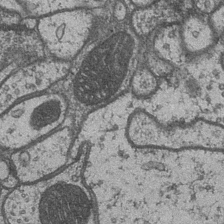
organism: Drosophila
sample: Optic medulla